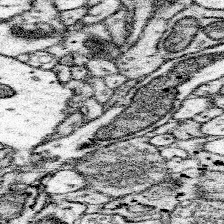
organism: Mouse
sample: Somatosensory cortex neuropil